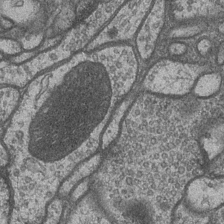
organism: Drosophila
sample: Optic medulla